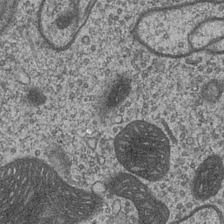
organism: Drosophila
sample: Optic medulla